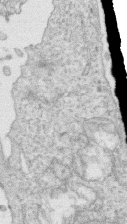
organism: Human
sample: HeLa cell HIV synapse